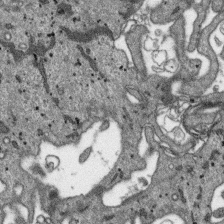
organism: Human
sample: Lung epithelial cells, uninfected (mock) control